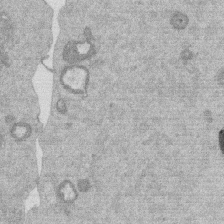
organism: Mouse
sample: Dividing mouse embryo 1 cell stage